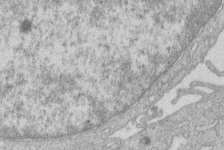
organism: Human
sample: Macrophage cells